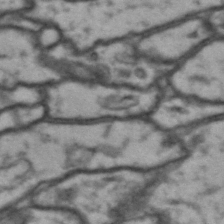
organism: Drosophila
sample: Brain